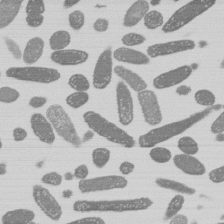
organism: E. coli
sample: Bacterial nucleoid